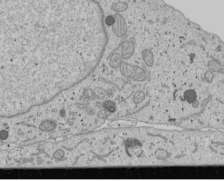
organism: Human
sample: Mitochondria in U2OS cells